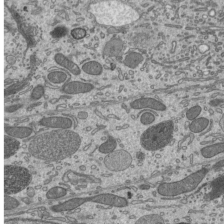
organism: Mouse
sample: Mouse epididymis efferent ductule cilia